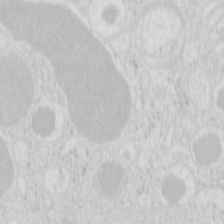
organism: Mouse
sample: Pancreas